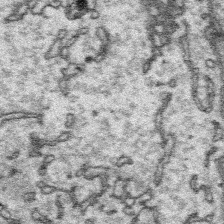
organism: Platynereis dumerilii